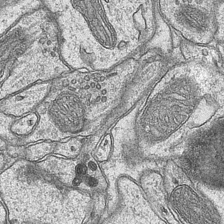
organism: Mouse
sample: CA1 Hippocampus